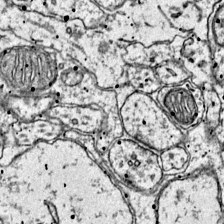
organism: Mouse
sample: Primary visual cortex